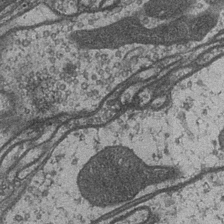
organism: Drosophila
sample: Optic medulla